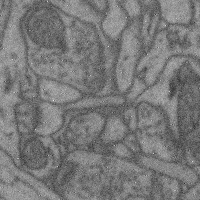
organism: Mouse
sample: Cerebral cortex